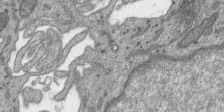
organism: Human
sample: Lung epithelial cells infected with SARS-CoV-2